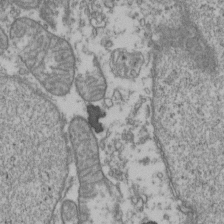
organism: Human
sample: Activated Jurkat CD4+ T cells